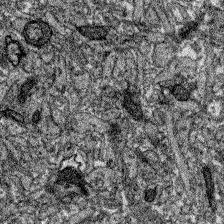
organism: Zebrafish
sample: Larval olfactory bulb